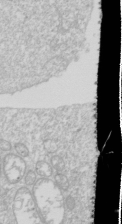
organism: Drosophila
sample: Cell division; meiosis; drosophila spermatocytes